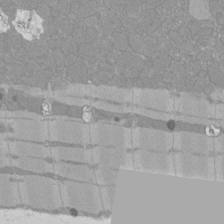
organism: Rat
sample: Left ventricle